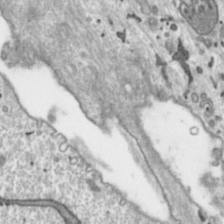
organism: Toxoplasma gondii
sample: Parasites in a vacuole inside a host cell